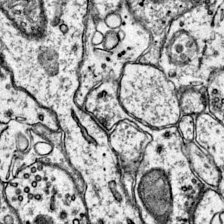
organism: Mouse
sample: Primary visual cortex